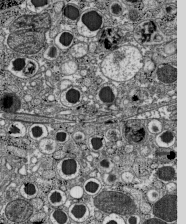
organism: C57BL Mouse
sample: Pancreatic islet